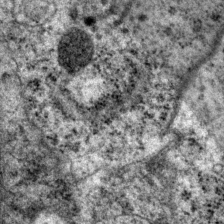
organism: P. pacificus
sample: Pharynx